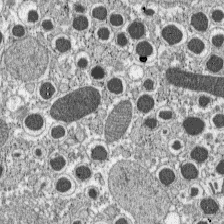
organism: C57BL Mouse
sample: Pancreatic islet